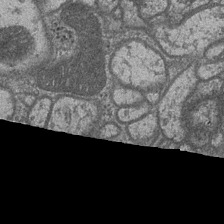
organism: Drosophila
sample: Optic medulla